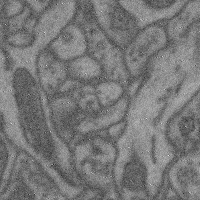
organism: Mouse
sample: Cerebral cortex